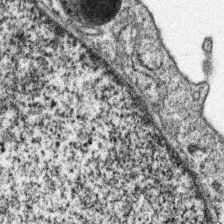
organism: Human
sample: HeLa cells